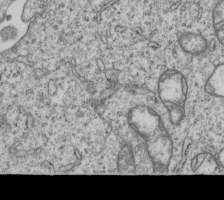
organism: Human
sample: MDA-MB-231 cells